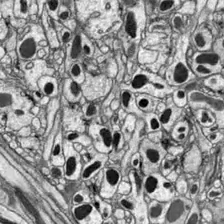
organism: Drosophila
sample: Optic lobe